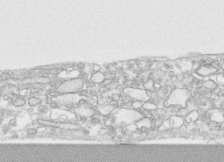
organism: Human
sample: CRL-1474